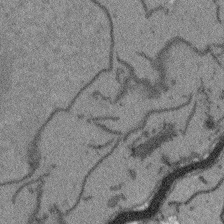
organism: Arabidopsis thaliana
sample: Root tip